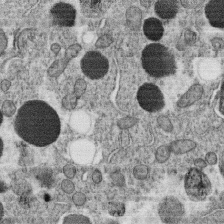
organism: C. elegans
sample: C. elegans oocyte; sperm cells